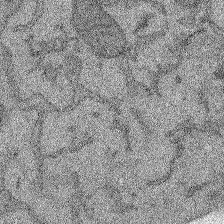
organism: Human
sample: HeLa cells